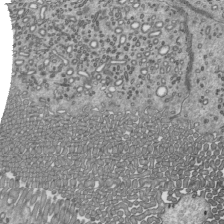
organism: Mouse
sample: Mouse epididymis efferent ductule cilia